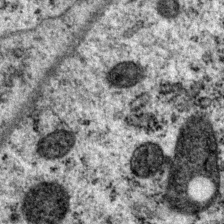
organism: P. pacificus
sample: Pharynx